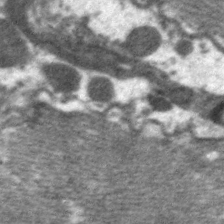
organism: C. elegans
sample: Pharynx